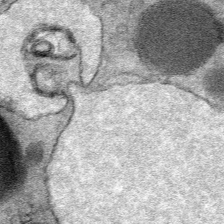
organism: Mouse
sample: Mouse Salivary gland